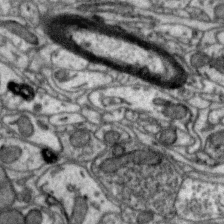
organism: Zebra finch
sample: Brain